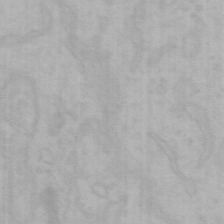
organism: Mouse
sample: Choroid plexus